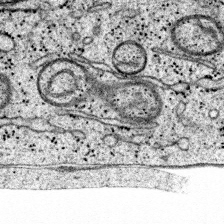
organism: Human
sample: HeLa cells